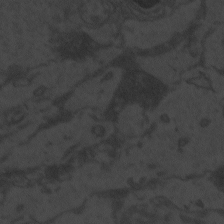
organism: Zebrafish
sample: Macrophage infected with Toxoplasma gondii